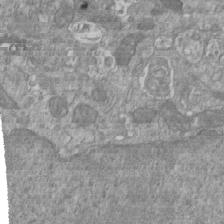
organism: Mouse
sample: ED-1 cell nuclei; centrioles